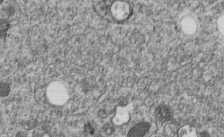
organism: C. elegans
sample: C. elegans embryo early stage